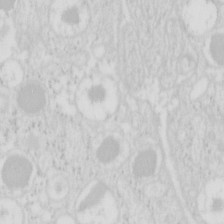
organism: Mouse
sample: Pancreas